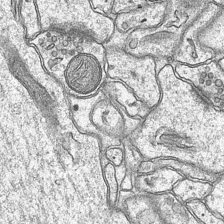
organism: Mouse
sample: CA1 Hippocampus